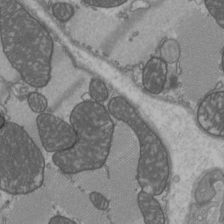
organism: C57BL Mouse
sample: Heart